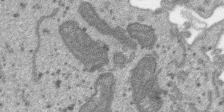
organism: Human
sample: Lung epithelial cells infected with SARS-CoV-2